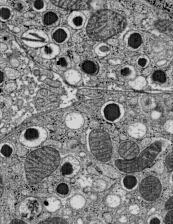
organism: C57BL Mouse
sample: Pancreatic islet